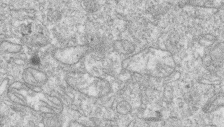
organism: Human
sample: HeLa cell HIV synapse